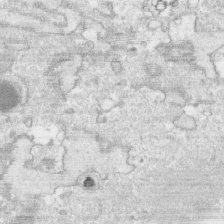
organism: Human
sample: CRL-1474